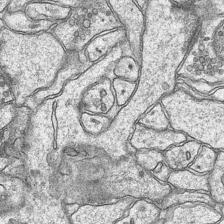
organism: Mouse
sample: CA1 Hippocampus